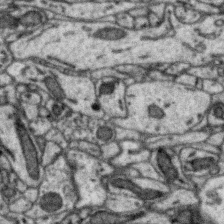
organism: Zebra finch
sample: Brain